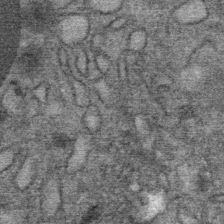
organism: Mouse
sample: Mouse Salivary gland